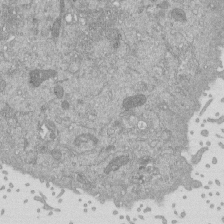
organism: Mouse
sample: ED-1 cell nuclei; centrioles